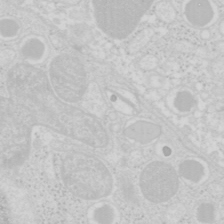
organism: Mouse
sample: Pancreas